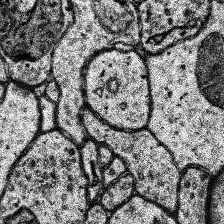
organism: Human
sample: Temporal Lobe